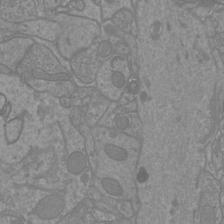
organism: Mouse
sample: Cortical neurons